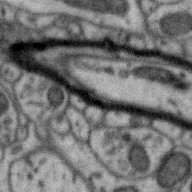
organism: Zebra finch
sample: Brain